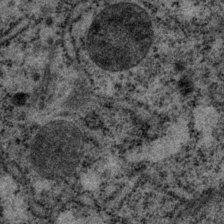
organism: P. pacificus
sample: Pharynx